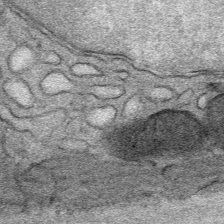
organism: Mouse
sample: Mouse Salivary gland